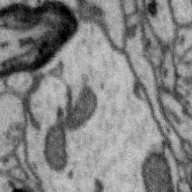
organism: Zebra finch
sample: Brain